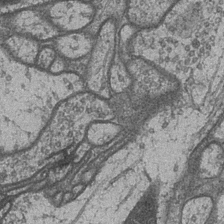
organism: Drosophila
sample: Optic medulla